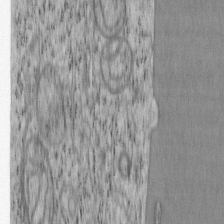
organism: Human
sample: HeLa cells